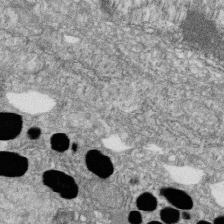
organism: Zebrafish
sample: Cilia; retinal pigment epithelium